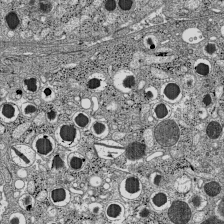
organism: C57BL Mouse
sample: Pancreatic islet